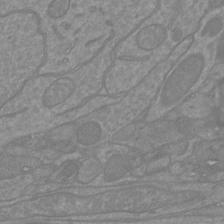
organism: Mouse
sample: Cortical neurons